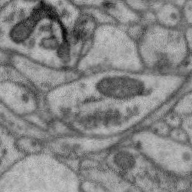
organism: Zebra finch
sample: Brain